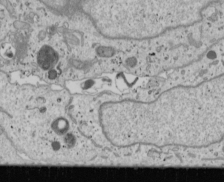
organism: Human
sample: Mitochondria in U2OS cells